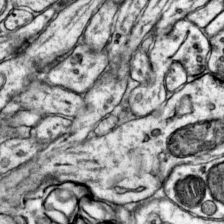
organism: Mouse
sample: Primary visual cortex